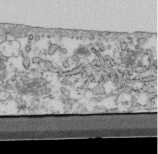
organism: Mouse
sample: Cilia; retinal pigment epithelium